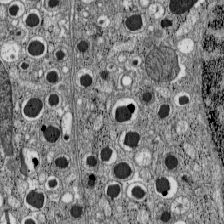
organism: C57BL Mouse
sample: Pancreatic islet